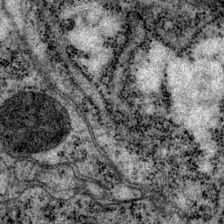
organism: P. pacificus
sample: Pharynx